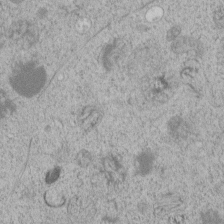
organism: C. elegans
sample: C. elegans embryo early stage